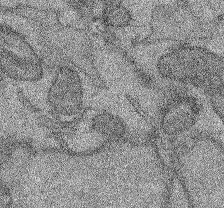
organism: Human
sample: HeLa cells